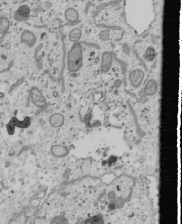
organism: Human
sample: Mitochondria in U2OS cells